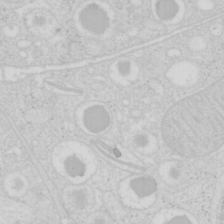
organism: Mouse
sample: Pancreas